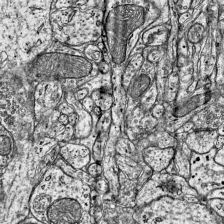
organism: Mouse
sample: Visual Cortex